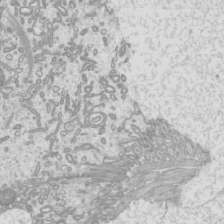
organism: Mouse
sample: Cilia; mouse epididymis